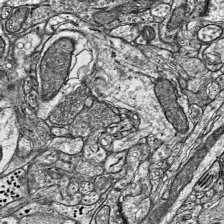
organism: Mouse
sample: Visual Cortex